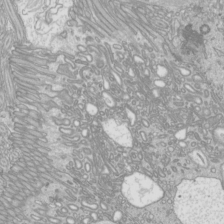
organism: Mouse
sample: Cilia; mouse epididymis